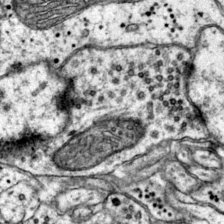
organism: Mouse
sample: Primary visual cortex